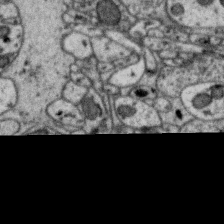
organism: Zebra finch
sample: Brain